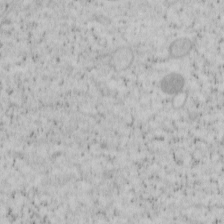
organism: Human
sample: HeLa cells